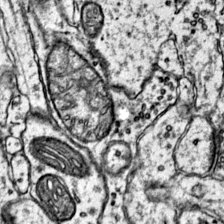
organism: Mouse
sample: Primary visual cortex